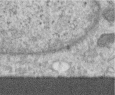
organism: Human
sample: Centriole in RPE cells